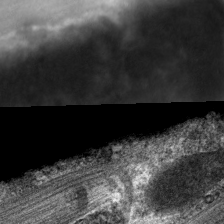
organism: C. elegans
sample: Pharynx